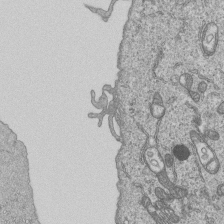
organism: Human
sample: MDA-MB-231 cells